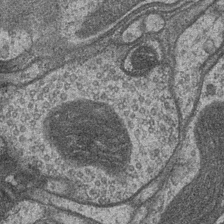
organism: Drosophila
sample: Optic medulla